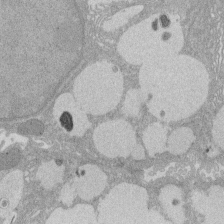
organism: Rat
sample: Salivary granule